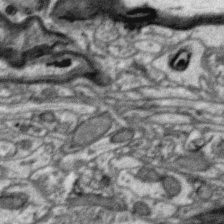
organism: Zebra finch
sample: Brain